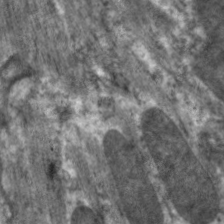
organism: C. elegans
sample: Pharynx